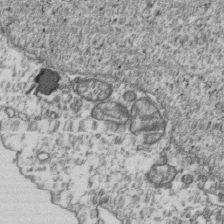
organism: Human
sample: Activated Jurkat CD4+ T cells